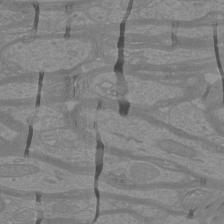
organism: Mouse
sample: Cortical neurons